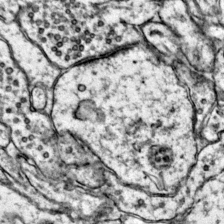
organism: Mouse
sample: Primary visual cortex